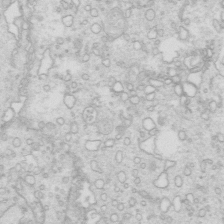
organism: Mouse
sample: Multiciliated cells